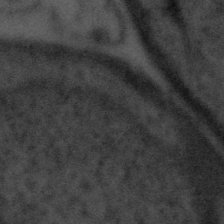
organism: Tuwongella immobilis